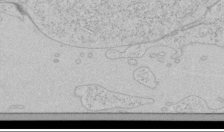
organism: Human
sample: Mitochondria in HCT116 cells